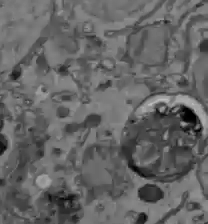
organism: C57BL Mouse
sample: Liver